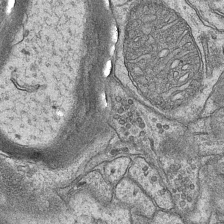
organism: Mouse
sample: CA1 Hippocampus